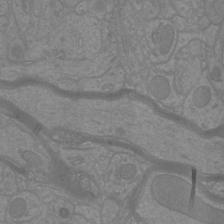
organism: Mouse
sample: Cortical neurons